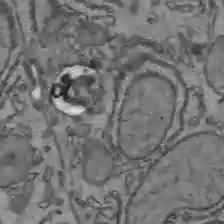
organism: C57BL Mouse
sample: Liver